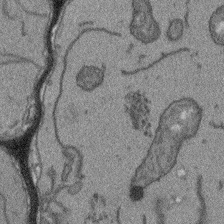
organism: Arabidopsis thaliana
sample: Root tip